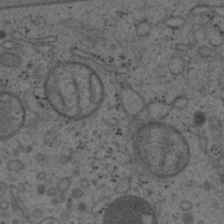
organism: Human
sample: HeLa cells